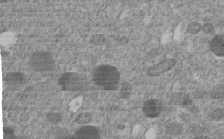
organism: C. elegans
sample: C. elegans embryo early stage